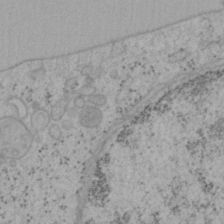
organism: Human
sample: HeLa cells